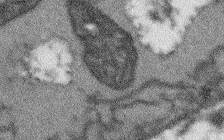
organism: Arabidopsis thaliana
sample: Root tip